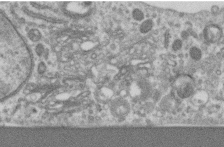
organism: Human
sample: Centriole in RPE cells